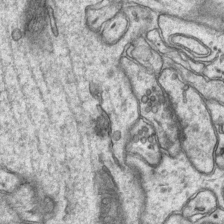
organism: Mouse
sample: CA1 Hippocampus